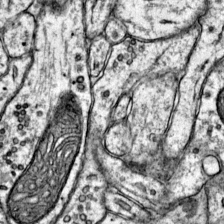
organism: Mouse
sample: Primary visual cortex